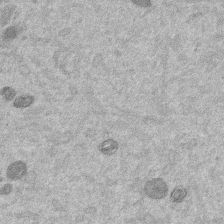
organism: Mouse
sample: Dividing mouse embryo 1 cell stage